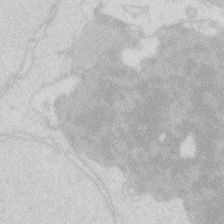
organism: Zebrafish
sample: Macrophage